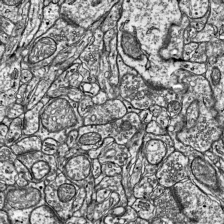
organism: Mouse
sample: Visual Cortex